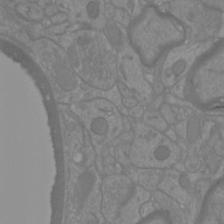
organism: Mouse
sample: Cortical neurons